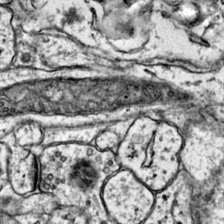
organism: Mouse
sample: Primary visual cortex